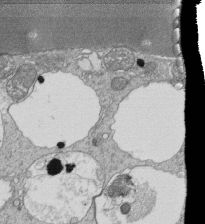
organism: Tetrahymena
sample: Cilia in tetrahymena